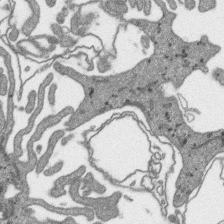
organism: Human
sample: Lung epithelial cells infected with SARS-CoV-2